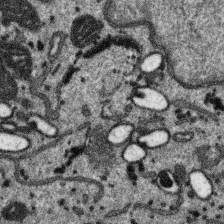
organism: Human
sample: Lung epithelial cells infected with SARS-CoV-2